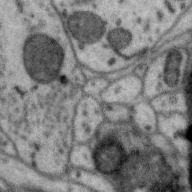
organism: Zebra finch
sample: Brain